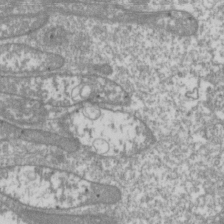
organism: Drosophila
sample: Cell division; meiosis; drosophila spermatocytes